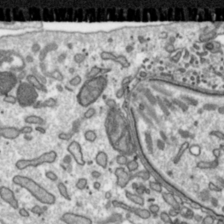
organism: Toxoplasma gondii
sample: Parasites in a vacuole inside a host cell